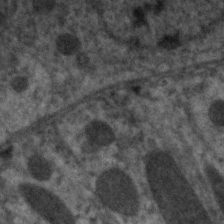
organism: C. elegans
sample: Pharynx